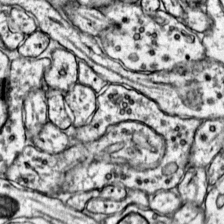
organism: Mouse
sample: Primary visual cortex